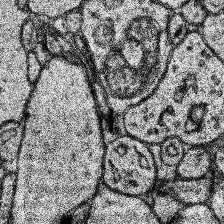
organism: Human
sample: Temporal Lobe